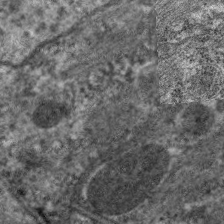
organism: C. elegans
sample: Pharynx